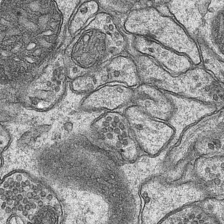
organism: Mouse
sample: CA1 Hippocampus